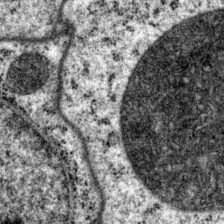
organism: P. pacificus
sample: Pharynx